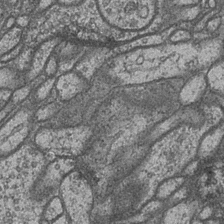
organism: Drosophila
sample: Optic medulla